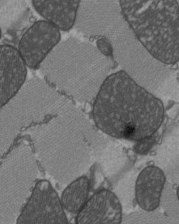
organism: C57BL Mouse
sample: Heart